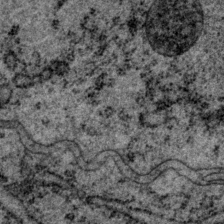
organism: P. pacificus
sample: Pharynx